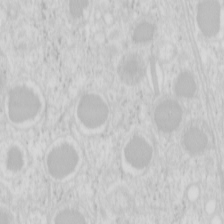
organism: Mouse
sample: Pancreas